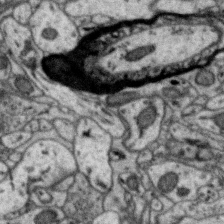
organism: Zebra finch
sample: Brain